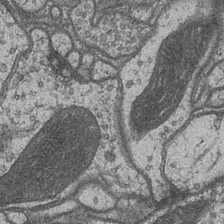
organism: Drosophila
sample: Optic medulla